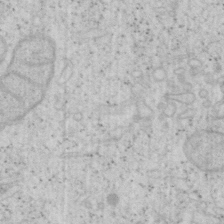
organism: Human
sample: HeLa cells